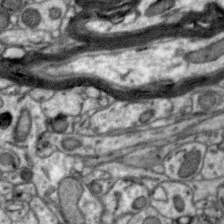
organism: Zebra finch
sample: Brain